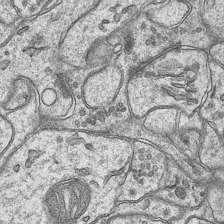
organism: Mouse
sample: CA1 Hippocampus